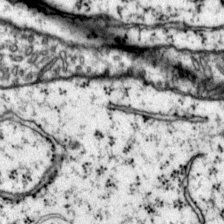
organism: Mouse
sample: Primary visual cortex